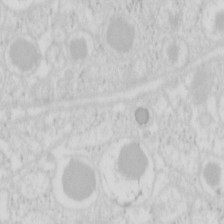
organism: Mouse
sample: Pancreas